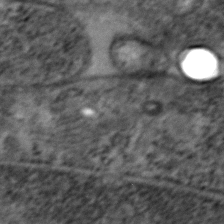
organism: Zebrafish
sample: Zebrafish embryo